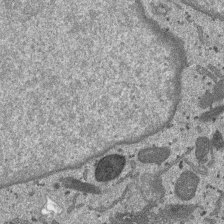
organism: Human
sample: Lung epithelial cells infected with SARS-CoV-2